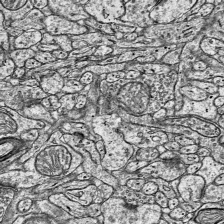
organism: Mouse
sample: Visual Cortex